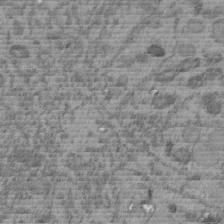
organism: C. elegans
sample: C. elegans embryo early stage